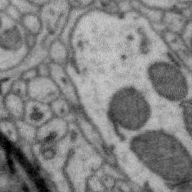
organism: Zebra finch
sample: Brain